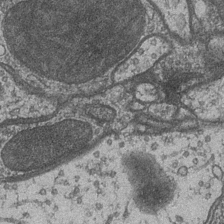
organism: Drosophila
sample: Optic medulla